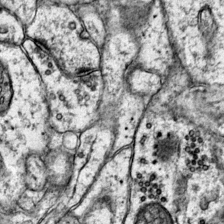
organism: Mouse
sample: Primary visual cortex